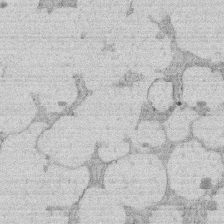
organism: Rat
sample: Salivary granule